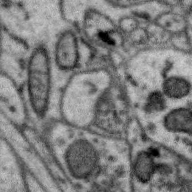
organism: Zebra finch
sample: Brain